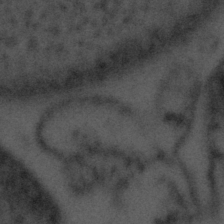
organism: Tuwongella immobilis